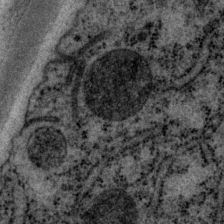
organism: P. pacificus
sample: Pharynx